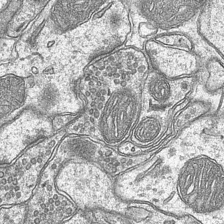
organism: Mouse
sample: CA1 Hippocampus